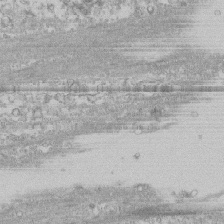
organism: Human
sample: CRL-1474